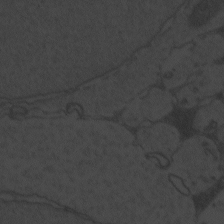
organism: Zebrafish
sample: Macrophage infected with Toxoplasma gondii